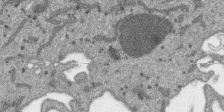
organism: Human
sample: Lung epithelial cells infected with SARS-CoV-2